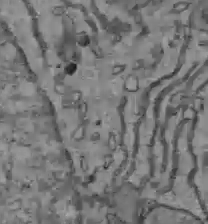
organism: C57BL Mouse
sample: Liver